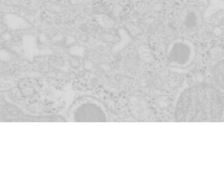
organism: Mouse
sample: Pancreas